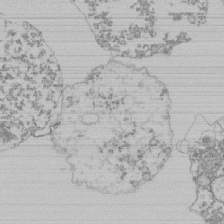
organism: Mouse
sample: Activated Pmel transgenic CD8+ T Cells